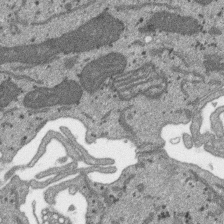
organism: Human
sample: Lung epithelial cells infected with SARS-CoV-2